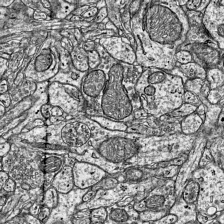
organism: Mouse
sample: Visual Cortex